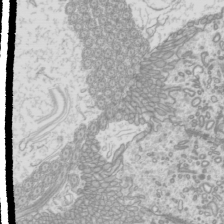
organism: Mouse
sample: Cilia; mouse epididymis